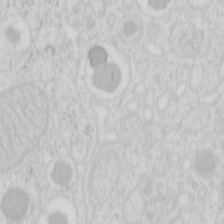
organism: Mouse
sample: Pancreas